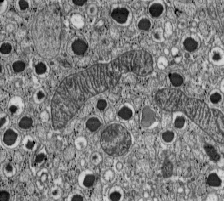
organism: C57BL Mouse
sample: Pancreatic islet